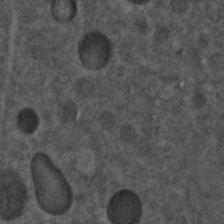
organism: C. elegans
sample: C. elegans embryo